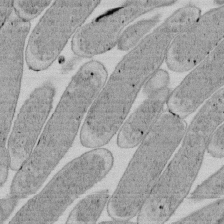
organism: E. coli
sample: Bacterial nucleoid